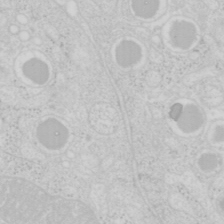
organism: Mouse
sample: Pancreas